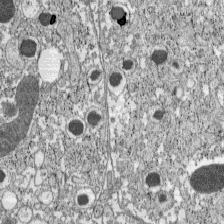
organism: C57BL Mouse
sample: Pancreatic islet